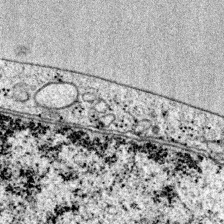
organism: Human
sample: HeLa cells